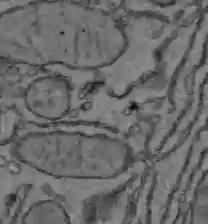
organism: C57BL Mouse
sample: Liver